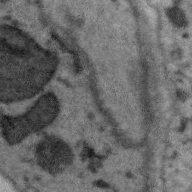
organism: Zebra finch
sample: Brain